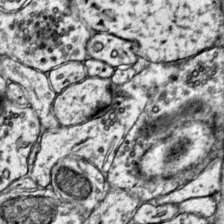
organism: Mouse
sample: Primary visual cortex